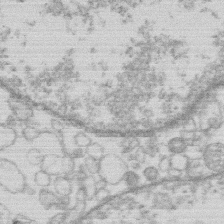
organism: Human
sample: Macrophage cells